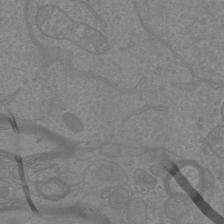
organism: Mouse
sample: Cortical neurons